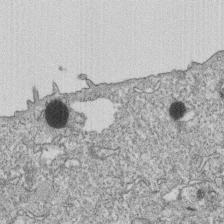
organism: Human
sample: HeLa cell HIV synapse